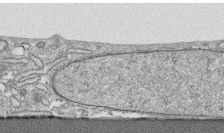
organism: Human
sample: CRL-1474